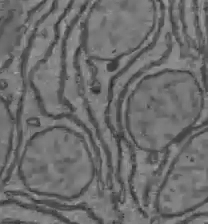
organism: C57BL Mouse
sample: Liver